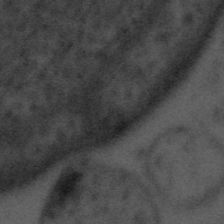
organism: Tuwongella immobilis